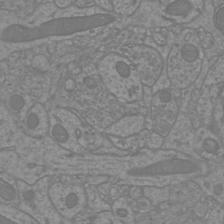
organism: Mouse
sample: Cortical neurons